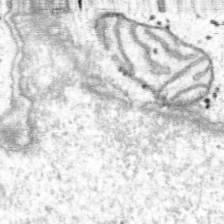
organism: Human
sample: HeLa cells